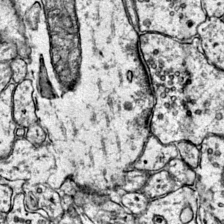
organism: Mouse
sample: Primary visual cortex